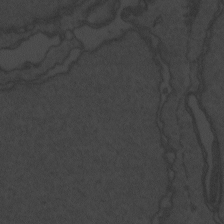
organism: Zebrafish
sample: Macrophage infected with Toxoplasma gondii